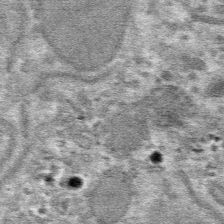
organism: Mouse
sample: Mouse hepatocytes